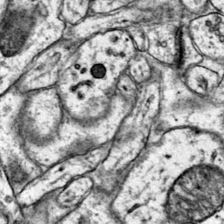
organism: Mouse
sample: Primary visual cortex